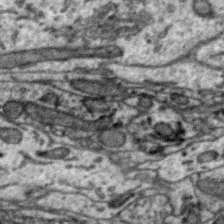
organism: Zebra finch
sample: Brain